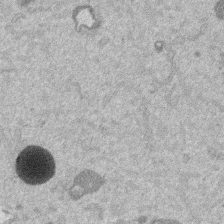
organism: Mouse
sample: Dividing mouse embryo 1 cell stage